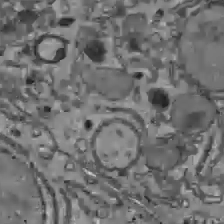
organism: C57BL Mouse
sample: Liver